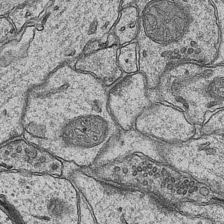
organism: Mouse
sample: CA1 Hippocampus